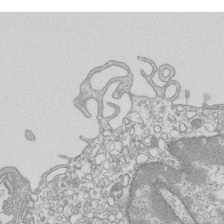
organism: Mouse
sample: Macrophages